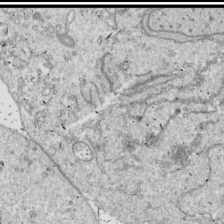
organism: Drosophila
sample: Cell division; meiosis; drosophila spermatocytes